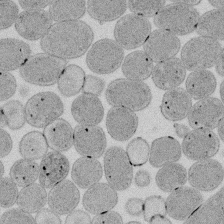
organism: E. coli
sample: Bacterial nucleoid